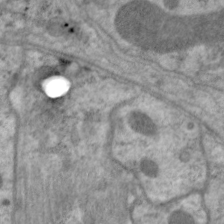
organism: C. elegans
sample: Pharynx